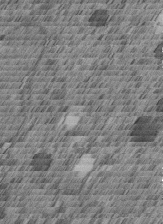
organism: C. elegans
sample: C. elegans embryo early stage